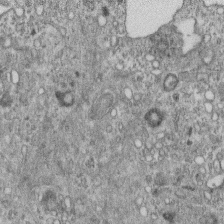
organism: Mouse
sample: Centriole in ependymal cells